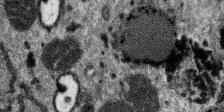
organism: Human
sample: Lung epithelial cells infected with SARS-CoV-2